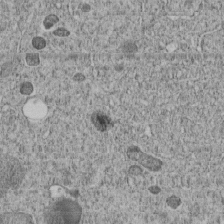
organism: C. elegans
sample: C. elegans embryo early stage